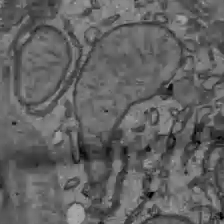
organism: C57BL Mouse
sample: Liver